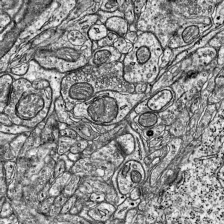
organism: Mouse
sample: Visual Cortex